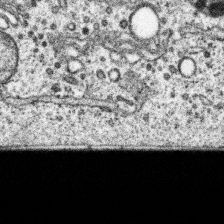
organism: Human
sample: HeLa cells